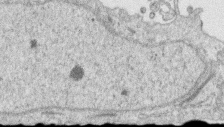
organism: Human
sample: HeLa cell HIV synapse